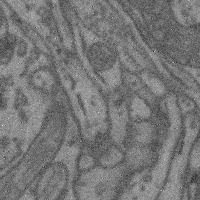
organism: Mouse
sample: Cerebral cortex